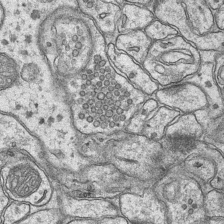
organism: Mouse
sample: CA1 Hippocampus